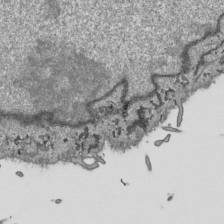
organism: Human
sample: Mitochondria in HCT116 cells